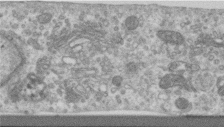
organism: Human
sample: Centriole in RPE cells